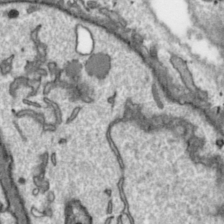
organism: Toxoplasma gondii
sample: Parasites in a vacuole inside a host cell